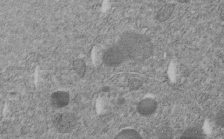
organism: C. elegans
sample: C. elegans embryo early stage